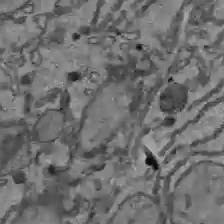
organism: C57BL Mouse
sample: Liver